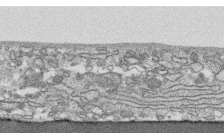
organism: Human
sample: CRL-1474